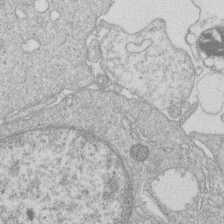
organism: Human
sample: Macrophage cells